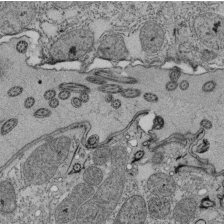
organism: Tetrahymena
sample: Cilia in tetrahymena